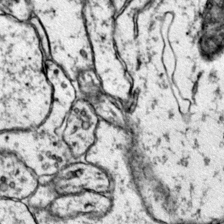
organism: Mouse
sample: Primary visual cortex